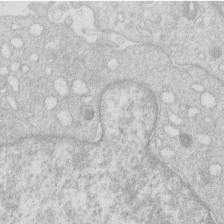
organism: Human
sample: Macrophage cells